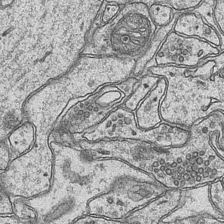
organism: Mouse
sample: CA1 Hippocampus